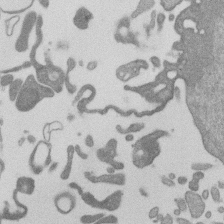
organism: Mouse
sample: Dividing mouse embryo 1 cell stage